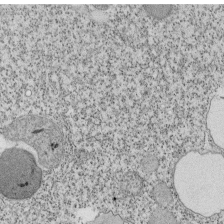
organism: Tetrahymena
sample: Cilia in tetrahymena